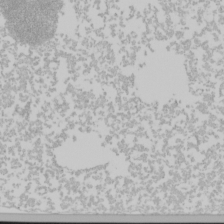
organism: Mouse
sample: Cancer cell death in ED-1 cells